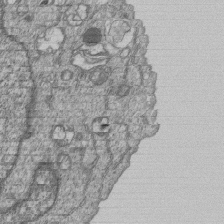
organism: Human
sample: MDA-MB-231 cells